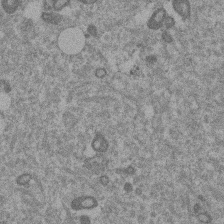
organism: Mouse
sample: Dividing mouse embryo 1 cell stage